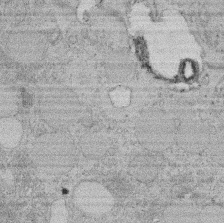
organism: Rat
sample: Salivary granule